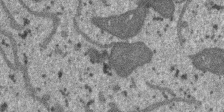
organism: Human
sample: Lung epithelial cells infected with SARS-CoV-2